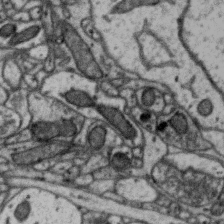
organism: Zebra finch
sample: Brain